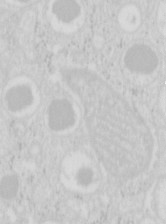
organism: Mouse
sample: Pancreas